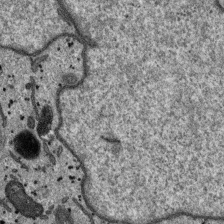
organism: Human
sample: Lung epithelial cells, uninfected (mock) control